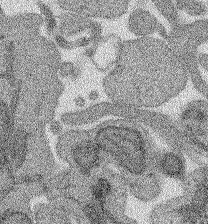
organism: Human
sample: HeLa cells